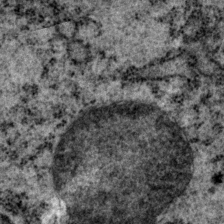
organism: P. pacificus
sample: Pharynx